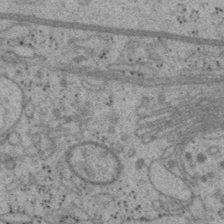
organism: Human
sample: HeLa cells